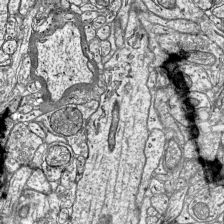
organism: Mouse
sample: Visual Cortex